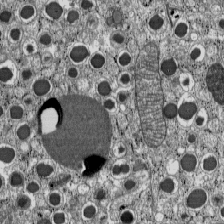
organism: C57BL Mouse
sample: Pancreatic islet